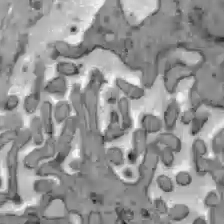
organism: C57BL Mouse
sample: Liver